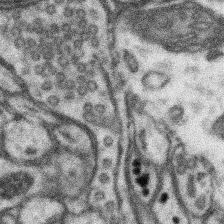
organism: Mouse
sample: Somatosensory cortex neuropil